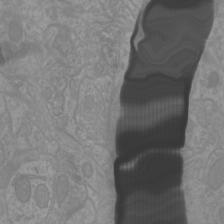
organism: Mouse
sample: Cortical neurons